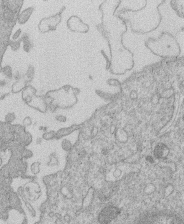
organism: Human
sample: Macrophage cells